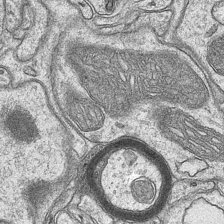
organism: Mouse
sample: CA1 Hippocampus